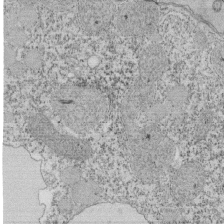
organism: Tetrahymena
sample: Cilia in tetrahymena